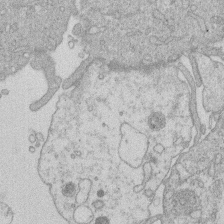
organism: Human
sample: Macrophage cells